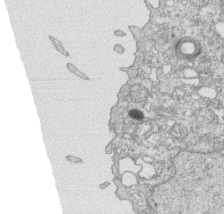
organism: Human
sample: HeLa cell HIV synapse